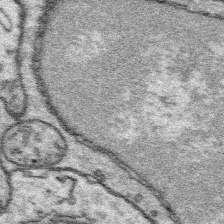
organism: Platynereis dumerilii